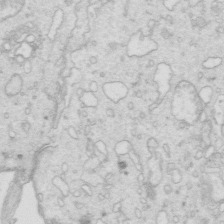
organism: Mouse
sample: Multiciliated cells